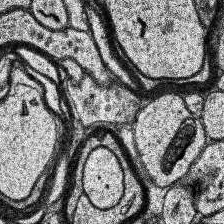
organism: Human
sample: Temporal Lobe